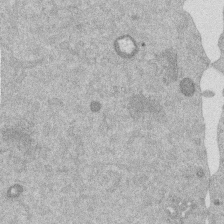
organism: Mouse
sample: Dividing mouse embryo 1 cell stage